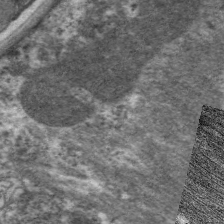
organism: C. elegans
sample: Pharynx